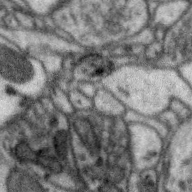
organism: Zebra finch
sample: Brain